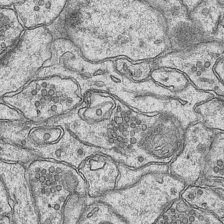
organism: Mouse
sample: CA1 Hippocampus